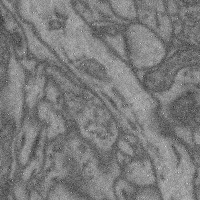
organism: Mouse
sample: Cerebral cortex